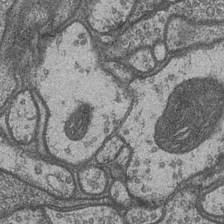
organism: Drosophila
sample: Optic medulla